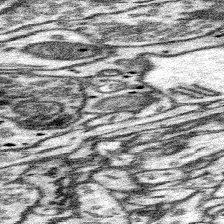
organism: Mouse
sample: Somatosensory cortex neuropil